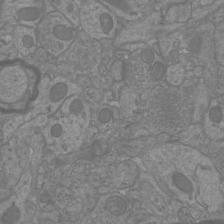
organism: Mouse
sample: Cortical neurons